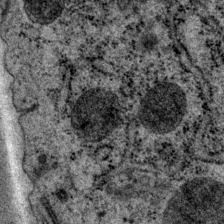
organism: P. pacificus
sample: Pharynx